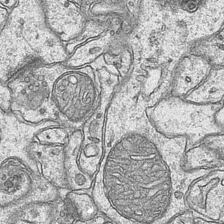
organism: Mouse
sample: CA1 Hippocampus